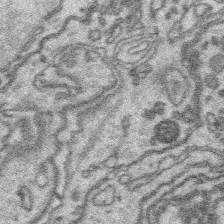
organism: Platynereis dumerilii